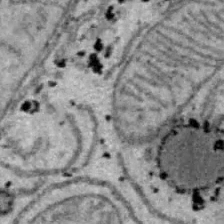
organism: Mouse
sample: Liver from an obese (ob/ob) mouse